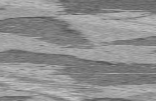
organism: C57BL Mouse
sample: Heart